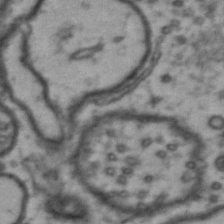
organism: Drosophila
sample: Brain